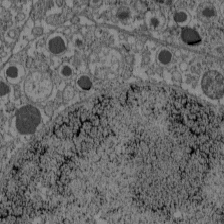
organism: C57BL Mouse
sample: Pancreatic islet